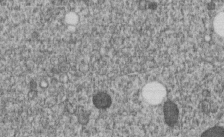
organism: C. elegans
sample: C. elegans embryo early stage